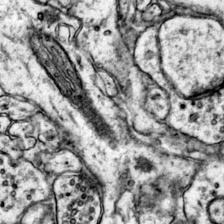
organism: Mouse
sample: Primary visual cortex